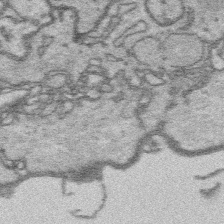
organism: Platynereis dumerilii